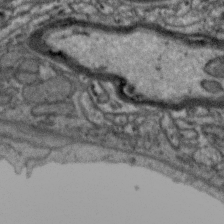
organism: Zebra finch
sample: Brain